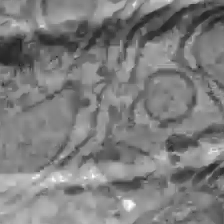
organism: C57BL Mouse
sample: Liver